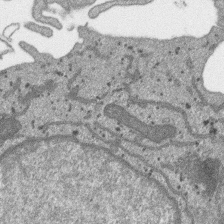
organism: Human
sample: Lung epithelial cells infected with SARS-CoV-2